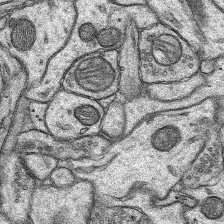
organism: Rat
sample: Hippocampus